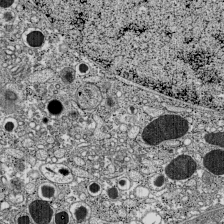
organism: C57BL Mouse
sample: Pancreatic islet